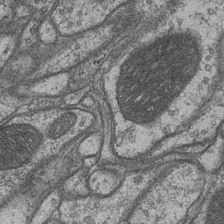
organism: Drosophila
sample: Optic medulla